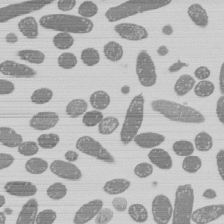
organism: E. coli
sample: Bacterial nucleoid